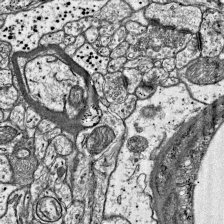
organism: Mouse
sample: Visual Cortex